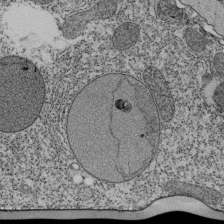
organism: Tetrahymena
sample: Cilia in tetrahymena